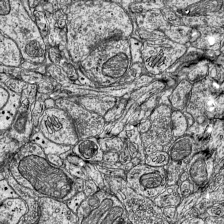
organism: Mouse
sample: Visual Cortex